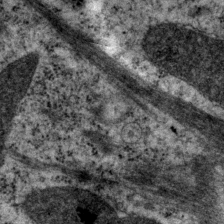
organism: P. pacificus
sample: Pharynx